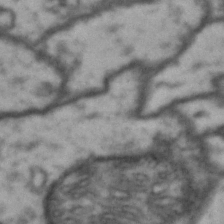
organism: Drosophila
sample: Brain